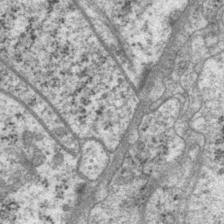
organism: P. pacificus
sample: Pharynx